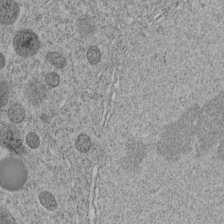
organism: C. elegans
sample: C. elegans embryo early stage